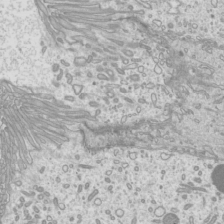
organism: Mouse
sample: Cilia; mouse epididymis